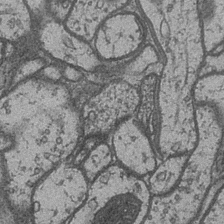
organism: Drosophila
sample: Optic medulla